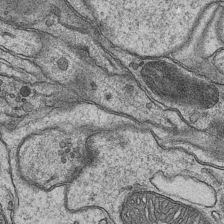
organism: Mouse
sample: CA1 Hippocampus